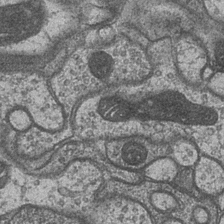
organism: Drosophila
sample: Optic medulla